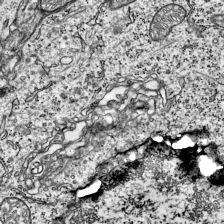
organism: Mouse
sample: Visual Cortex